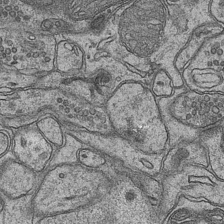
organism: Mouse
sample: CA1 Hippocampus